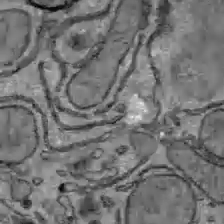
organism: C57BL Mouse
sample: Liver